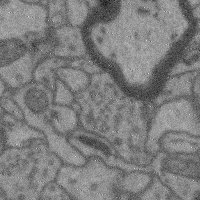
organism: Mouse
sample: Cerebral cortex